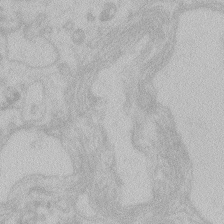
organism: Zebrafish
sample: Macrophage infected with Toxoplasma gondii